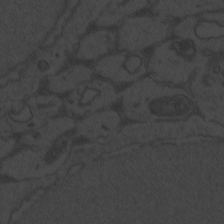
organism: Zebrafish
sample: Macrophage infected with Toxoplasma gondii